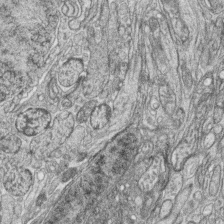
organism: Zebrafish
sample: synaptic ribbons in rod cells and cone cells